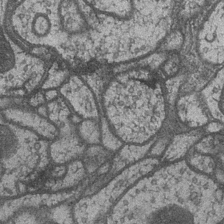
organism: Drosophila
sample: Optic medulla